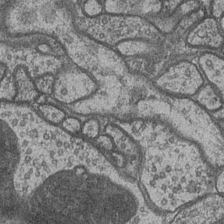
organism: Drosophila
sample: Optic medulla